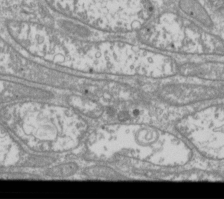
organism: Drosophila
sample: Cell division; meiosis; drosophila spermatocytes